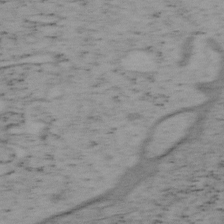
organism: Mouse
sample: OT-I killer T cells with ID8 ovarian cancer cells